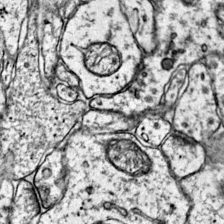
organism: Mouse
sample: Primary visual cortex